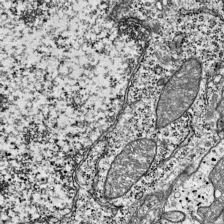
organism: Mouse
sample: Visual Cortex